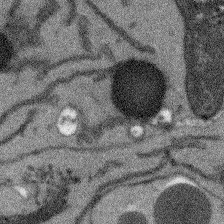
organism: Arabidopsis thaliana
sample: Root tip